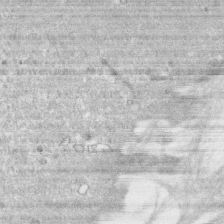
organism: Human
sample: CRL-1474